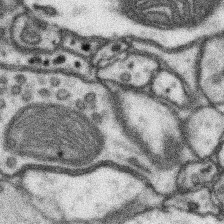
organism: Mouse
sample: Somatosensory cortex neuropil